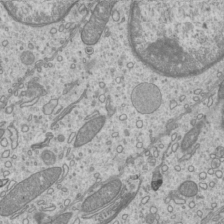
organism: Mouse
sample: Cilia; mouse epididymis